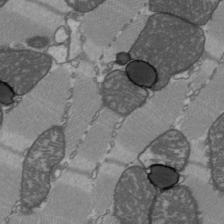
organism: C57BL Mouse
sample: Heart